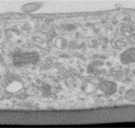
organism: Human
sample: Centriole in RPE cells